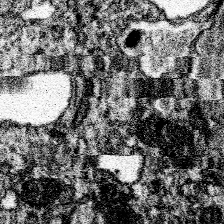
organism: Spongilla lacustris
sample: Neuroid cell